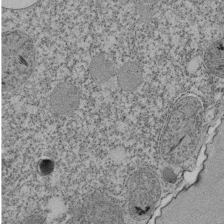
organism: Tetrahymena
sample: Cilia in tetrahymena